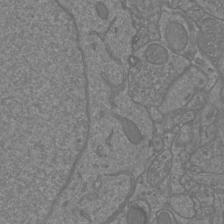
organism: Mouse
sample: Cortical neurons